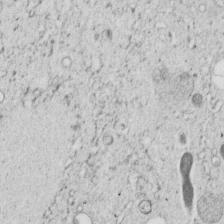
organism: C. elegans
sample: C. elegans embryo early stage